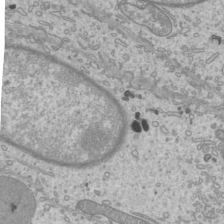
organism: Mouse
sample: Cilia; mouse epididymis